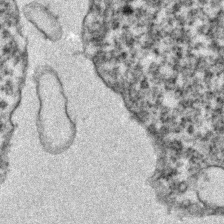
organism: Zebrafish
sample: Zebrafish embryo